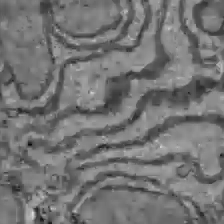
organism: C57BL Mouse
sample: Liver